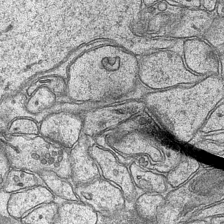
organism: Mouse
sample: CA1 Hippocampus